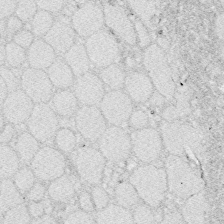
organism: Zebrafish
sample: Whole-Brain